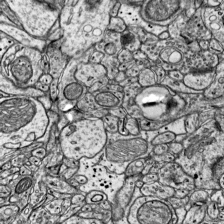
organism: Mouse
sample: Visual Cortex